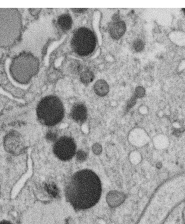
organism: C. elegans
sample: C. elegans oocyte; sperm cells